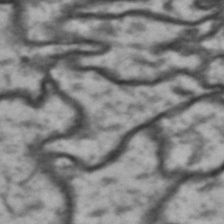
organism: Drosophila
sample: Brain